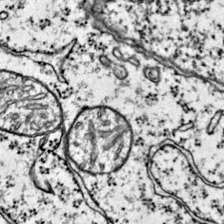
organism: Mouse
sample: Primary visual cortex